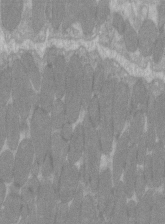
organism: C57BL Mouse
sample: Tibialis anterior muscle cell